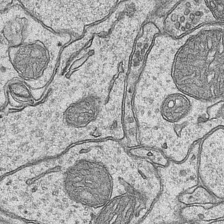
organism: Mouse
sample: CA1 Hippocampus